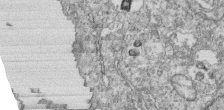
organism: Human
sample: HeLa cell HIV synapse